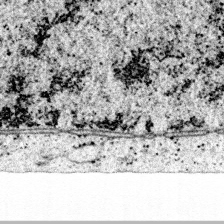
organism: Human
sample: HeLa cells